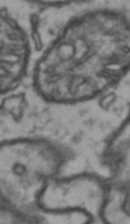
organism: Drosophila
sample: Brain